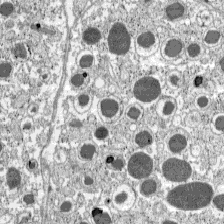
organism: C57BL Mouse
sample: Pancreatic islet